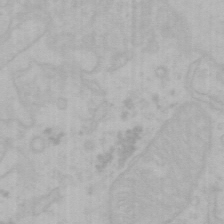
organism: Mouse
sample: Choroid plexus